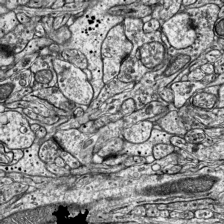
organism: Mouse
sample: Visual Cortex